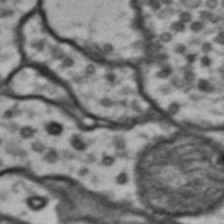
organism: Drosophila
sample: Brain